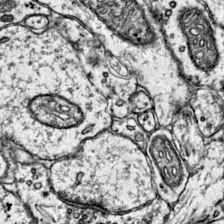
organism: Mouse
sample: Primary visual cortex